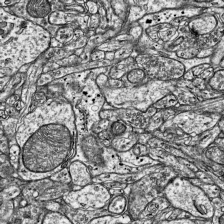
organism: Mouse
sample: Visual Cortex